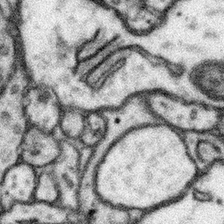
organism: Mouse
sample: Somatosensory cortex neuropil